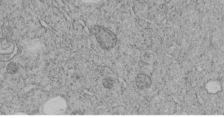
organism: C. elegans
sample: C. elegans embryo early stage